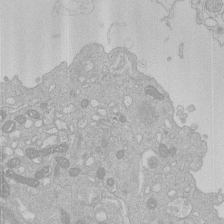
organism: Human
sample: Macrophage cells